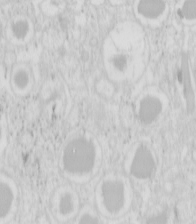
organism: Mouse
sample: Pancreas